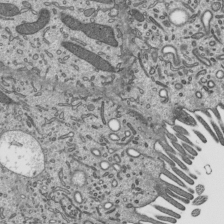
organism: Mouse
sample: Mouse epididymis efferent ductule cilia